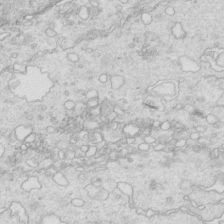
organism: Mouse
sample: Multiciliated cells